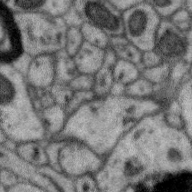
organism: Zebra finch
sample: Brain